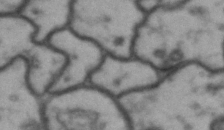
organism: Drosophila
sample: Brain